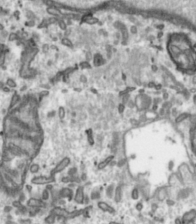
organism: Toxoplasma gondii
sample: Parasites in a vacuole inside a host cell